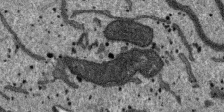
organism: Human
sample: Lung epithelial cells, uninfected (mock) control